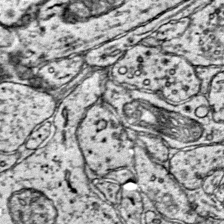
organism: Mouse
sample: Primary visual cortex